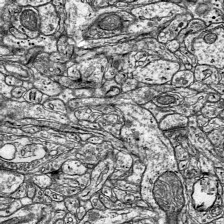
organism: Mouse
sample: Visual Cortex